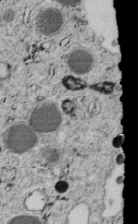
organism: C. elegans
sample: C. elegans embryo early stage